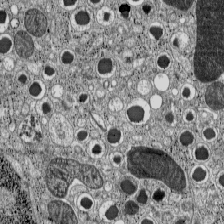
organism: C57BL Mouse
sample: Pancreatic islet